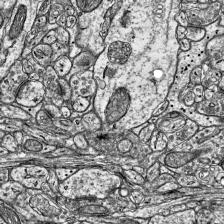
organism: Mouse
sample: Visual Cortex